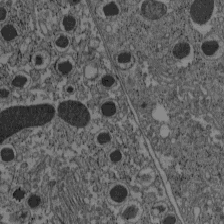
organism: C57BL Mouse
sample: Pancreatic islet